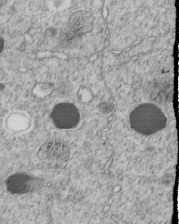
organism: C. elegans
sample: C. elegans embryo early stage